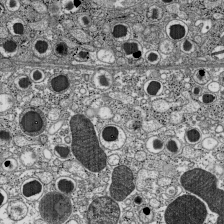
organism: C57BL Mouse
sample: Pancreatic islet